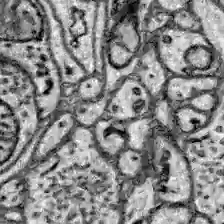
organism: Zebrafish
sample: Brain